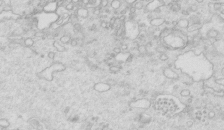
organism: Mouse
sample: Multiciliated cells